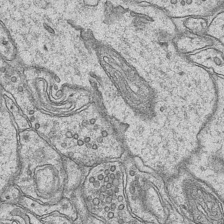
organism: Mouse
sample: CA1 Hippocampus